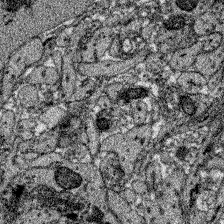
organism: Zebrafish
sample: Larval olfactory bulb